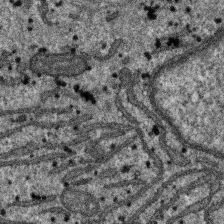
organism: Human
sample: Lung epithelial cells infected with SARS-CoV-2